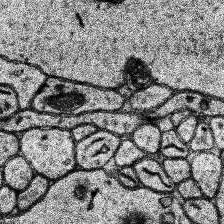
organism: Human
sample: Temporal Lobe